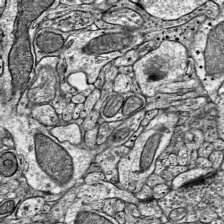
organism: Mouse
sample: Visual Cortex